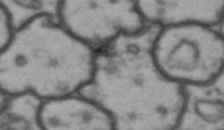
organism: Drosophila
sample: Brain